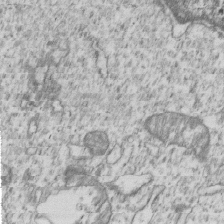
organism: Human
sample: MDA-MB-231 cells